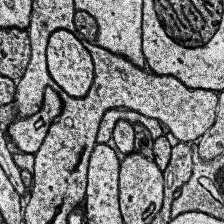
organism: Human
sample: Temporal Lobe